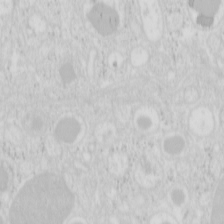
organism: Mouse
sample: Pancreas